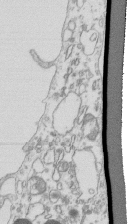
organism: Mouse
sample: Macrophages